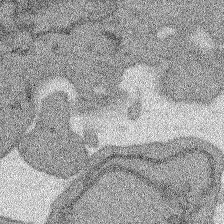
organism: Human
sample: HeLa cells